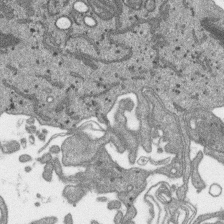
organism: Human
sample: Lung epithelial cells infected with SARS-CoV-2